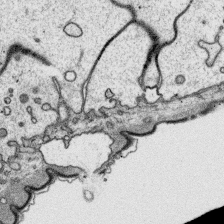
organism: Platynereis dumerilii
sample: Parapodia